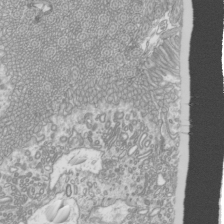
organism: Mouse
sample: Cilia; mouse epididymis